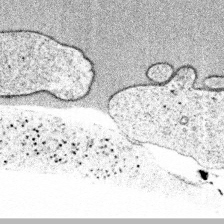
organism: Human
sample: HeLa cells